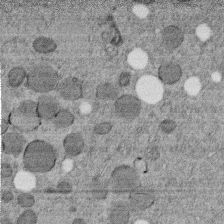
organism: C. elegans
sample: C. elegans embryo early stage